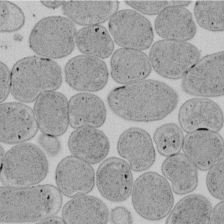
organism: E. coli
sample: Bacterial nucleoid